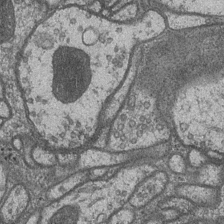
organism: Drosophila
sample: Optic medulla